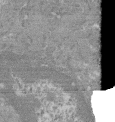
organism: Mouse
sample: Glomerulus